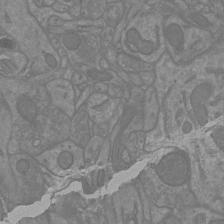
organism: Mouse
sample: Cortical neurons